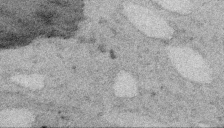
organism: Embia sp.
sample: Silk gland